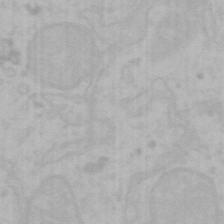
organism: Mouse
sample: Choroid plexus